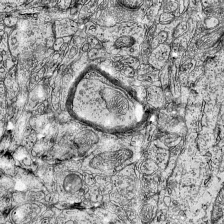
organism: Mouse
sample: Visual Cortex